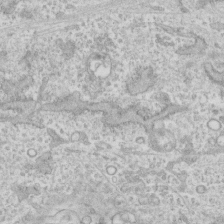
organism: Human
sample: CRL-1474